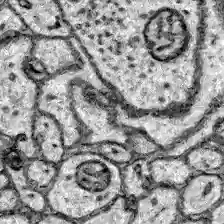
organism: Zebrafish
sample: Brain